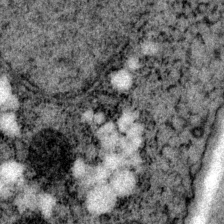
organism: P. pacificus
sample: Pharynx